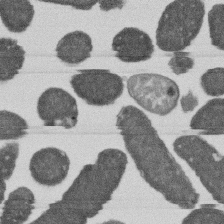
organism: E. coli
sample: Bacterial nucleoid